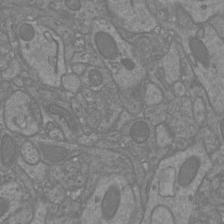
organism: Mouse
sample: Cortical neurons